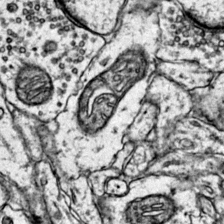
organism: Mouse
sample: Primary visual cortex